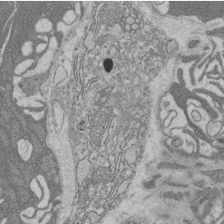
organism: Rat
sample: Salivary granule